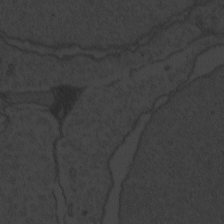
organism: Zebrafish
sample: Macrophage infected with Toxoplasma gondii